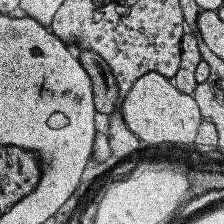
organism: Human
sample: Temporal Lobe